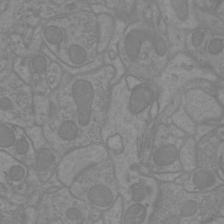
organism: Mouse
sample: Cortical neurons